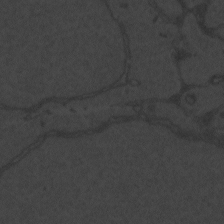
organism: Zebrafish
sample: Macrophage infected with Toxoplasma gondii